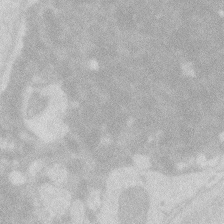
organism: Zebrafish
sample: Macrophage